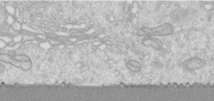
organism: Human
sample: Centriole in RPE cells